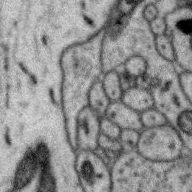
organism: Zebra finch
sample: Brain